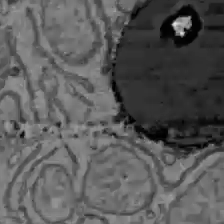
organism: C57BL Mouse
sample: Liver